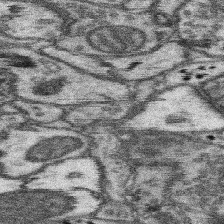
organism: Mouse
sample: Somatosensory cortex neuropil